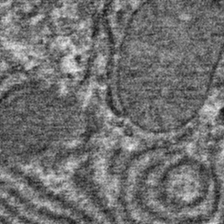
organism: Mouse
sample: Mouse hepatocytes